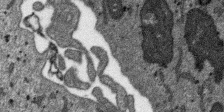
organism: Human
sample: Lung epithelial cells infected with SARS-CoV-2